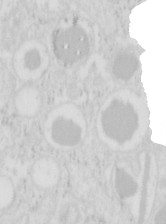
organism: Mouse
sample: Pancreas